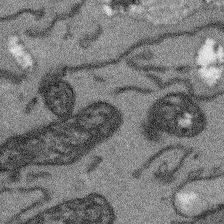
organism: Arabidopsis thaliana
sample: Root tip